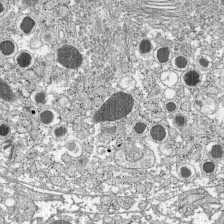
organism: C57BL Mouse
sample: Pancreatic islet